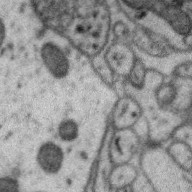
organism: Zebra finch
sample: Brain